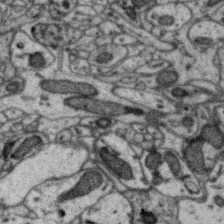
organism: Zebra finch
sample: Brain